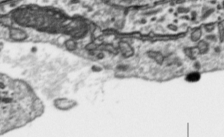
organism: Toxoplasma gondii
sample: Parasites in a vacuole inside a host cell